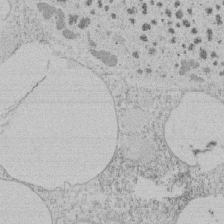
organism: Tetrahymena